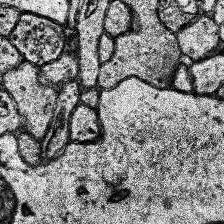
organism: Human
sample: Temporal Lobe